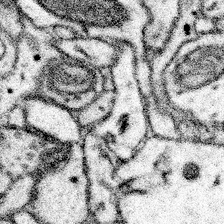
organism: Mouse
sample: Somatosensory cortex neuropil